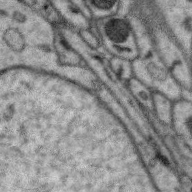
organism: Zebra finch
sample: Brain